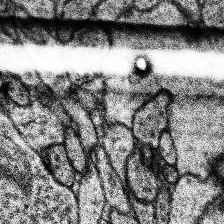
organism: Human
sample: Temporal Lobe